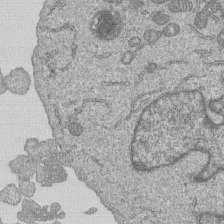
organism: Human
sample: MDA-MB-231 cells